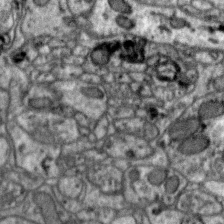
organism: Zebra finch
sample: Brain